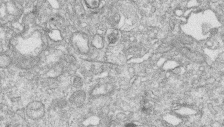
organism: Human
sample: HeLa cell HIV synapse